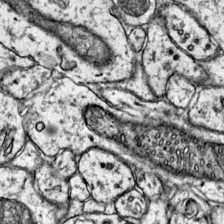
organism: Mouse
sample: Primary visual cortex